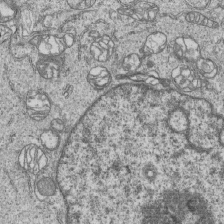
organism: Human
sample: MDA-MB-231 cells